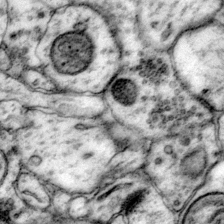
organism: Mouse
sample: Primary visual cortex